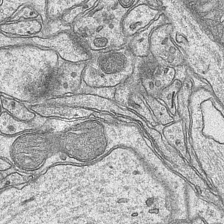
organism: Mouse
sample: CA1 Hippocampus